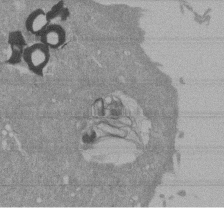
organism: Mouse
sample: ED-1 cell nuclei; centrioles